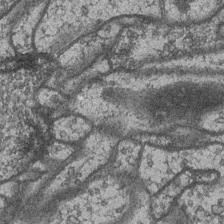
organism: Drosophila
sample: Optic medulla